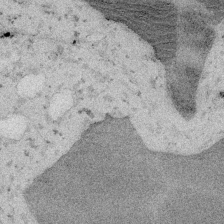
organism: Embia sp.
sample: Silk gland